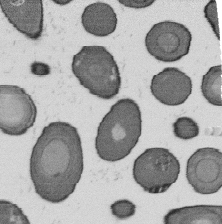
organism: B. subtilis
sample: Bacterial spore